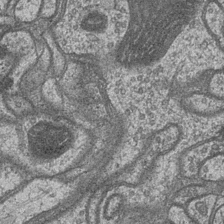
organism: Drosophila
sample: Optic medulla